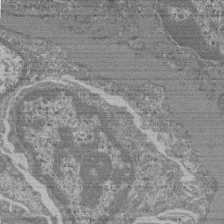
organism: Mouse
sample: Glomerulus